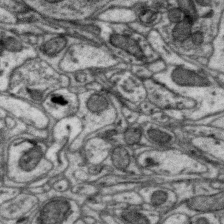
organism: Zebra finch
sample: Brain